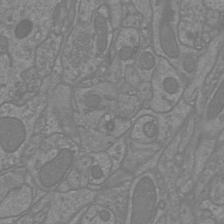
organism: Mouse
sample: Cortical neurons